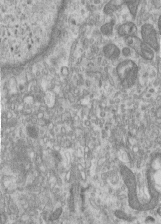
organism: Human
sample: Centriole in RPE cells